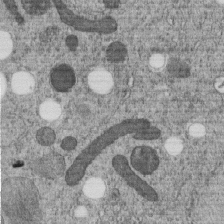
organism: C. elegans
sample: C. elegans embryo early stage